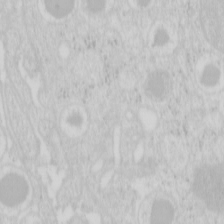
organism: Mouse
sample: Pancreas